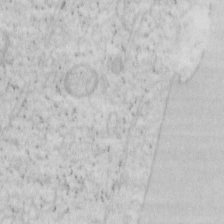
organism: Human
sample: HeLa cells